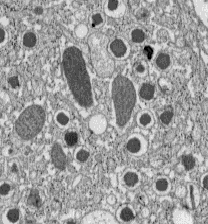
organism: C57BL Mouse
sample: Pancreatic islet